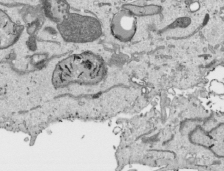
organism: Human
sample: Mitochondria in HCT116 cells